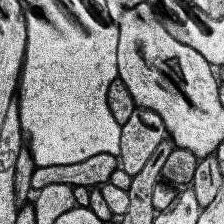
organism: Human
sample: Temporal Lobe